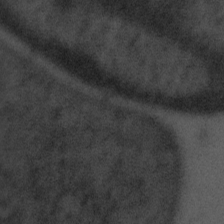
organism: Tuwongella immobilis